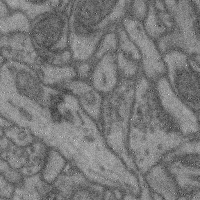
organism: Mouse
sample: Cerebral cortex